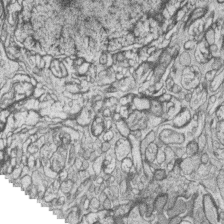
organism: Zebrafish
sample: synaptic ribbons in rod cells and cone cells